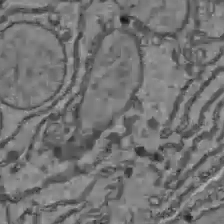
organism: C57BL Mouse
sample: Liver